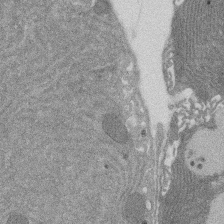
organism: Rat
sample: Salivary granule